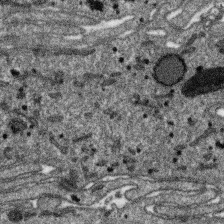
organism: Human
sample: Lung epithelial cells infected with SARS-CoV-2